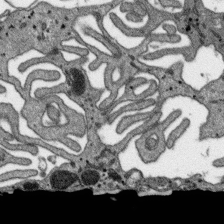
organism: Human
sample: Lung epithelial cells, uninfected (mock) control